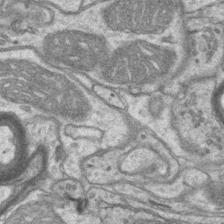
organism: Mouse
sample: CA1 Hippocampus